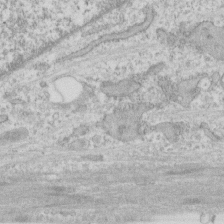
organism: Human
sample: CRL-1474